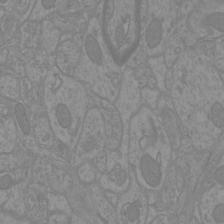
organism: Mouse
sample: Cortical neurons